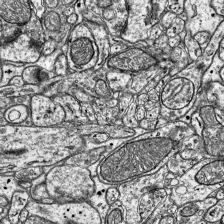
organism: Mouse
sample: Visual Cortex